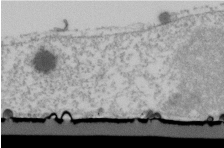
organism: Human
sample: U2-OS cells